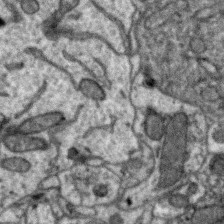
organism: Zebra finch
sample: Brain